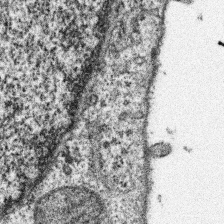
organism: Human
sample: HeLa cells